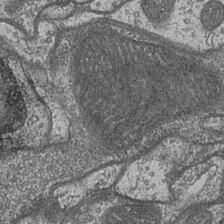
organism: Drosophila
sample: Optic medulla